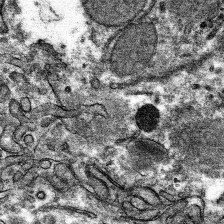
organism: Mouse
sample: Mouse hepatocytes